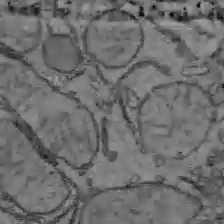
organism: C57BL Mouse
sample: Liver